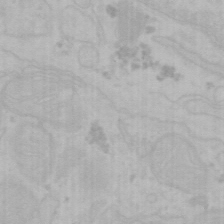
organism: Mouse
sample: Choroid plexus